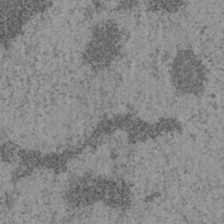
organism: Mouse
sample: OT-I killer T cells with ID8 ovarian cancer cells